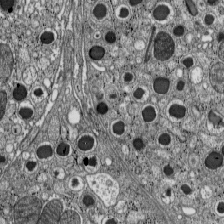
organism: C57BL Mouse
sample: Pancreatic islet